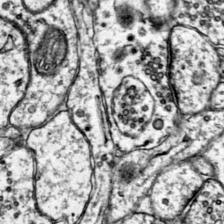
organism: Mouse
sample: Primary visual cortex